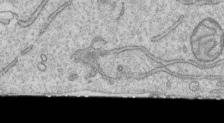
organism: Human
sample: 1205lu cells